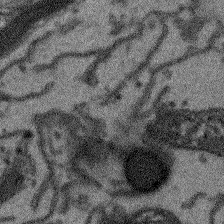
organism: Arabidopsis thaliana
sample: Root tip